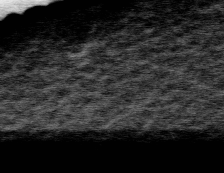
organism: Human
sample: HeLa cells